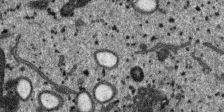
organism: Human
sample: Lung epithelial cells infected with SARS-CoV-2